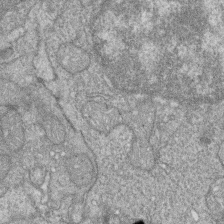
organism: Zebrafish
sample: Cilia; retinal pigment epithelium